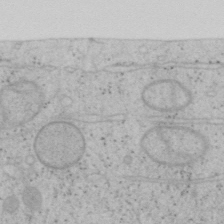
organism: Human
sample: HeLa cells